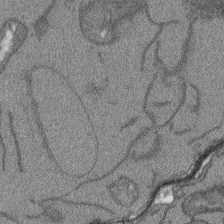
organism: Arabidopsis thaliana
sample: Root tip